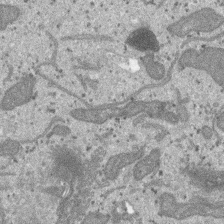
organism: Human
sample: Lung epithelial cells infected with SARS-CoV-2